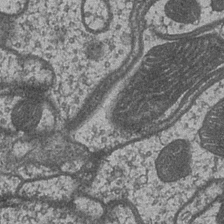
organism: Drosophila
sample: Optic medulla